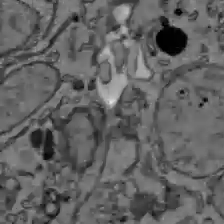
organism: C57BL Mouse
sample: Liver